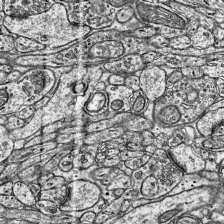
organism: Mouse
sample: Visual Cortex